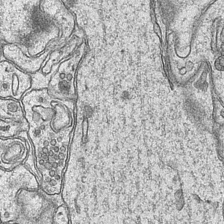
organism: Mouse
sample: CA1 Hippocampus